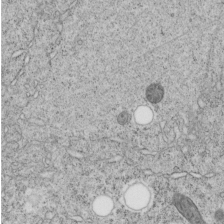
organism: C. elegans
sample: C. elegans embryo early stage